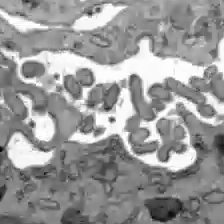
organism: C57BL Mouse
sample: Liver